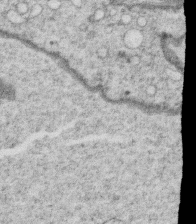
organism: C. elegans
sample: C. elegans oocyte; sperm cells